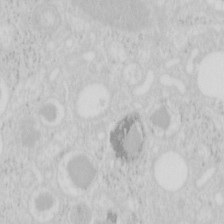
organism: Mouse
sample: Pancreas